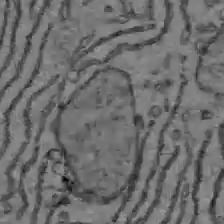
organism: C57BL Mouse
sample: Liver